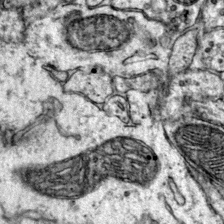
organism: Mouse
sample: Primary visual cortex